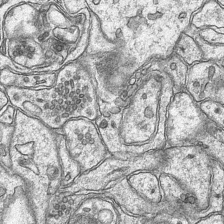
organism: Mouse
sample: CA1 Hippocampus